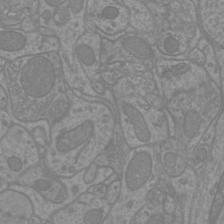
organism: Mouse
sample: Cortical neurons